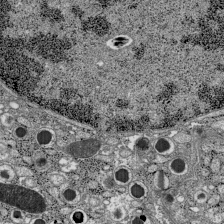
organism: C57BL Mouse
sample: Pancreatic islet